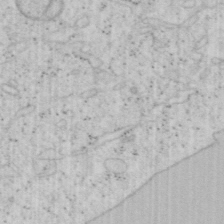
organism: Human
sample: HeLa cells